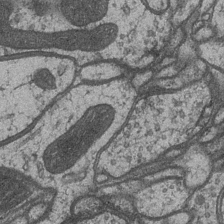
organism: Drosophila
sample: Optic medulla